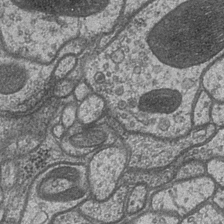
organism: Drosophila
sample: Optic medulla